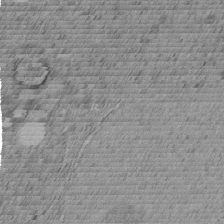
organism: C. elegans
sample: C. elegans embryo early stage